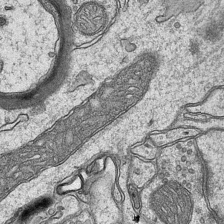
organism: Mouse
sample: CA1 Hippocampus